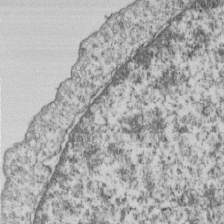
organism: Human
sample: MDA-MB-231 cells